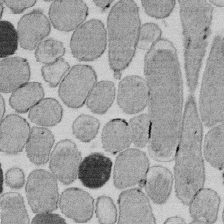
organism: E. coli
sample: Bacterial nucleoid